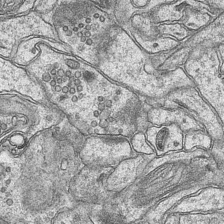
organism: Mouse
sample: CA1 Hippocampus